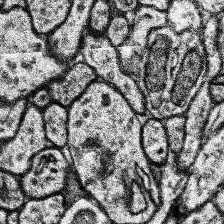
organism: Human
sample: Temporal Lobe